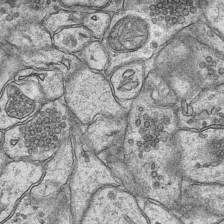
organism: Mouse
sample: CA1 Hippocampus